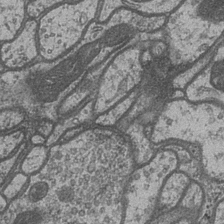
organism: Drosophila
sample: Optic medulla